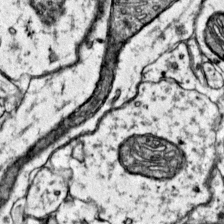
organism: Mouse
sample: Primary visual cortex